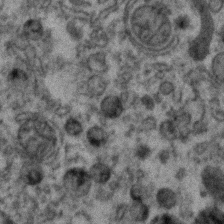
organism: Zebrafish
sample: Zebrafish embryo